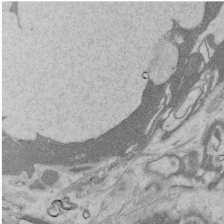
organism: Rat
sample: Salivary granule